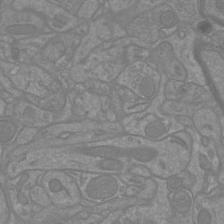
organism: Mouse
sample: Cortical neurons